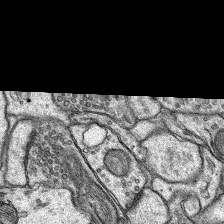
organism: Rat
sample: Hippocampus